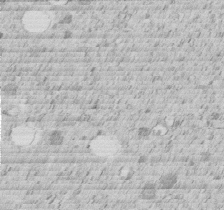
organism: C. elegans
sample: C. elegans embryo early stage